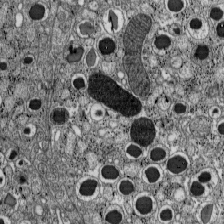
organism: C57BL Mouse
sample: Pancreatic islet